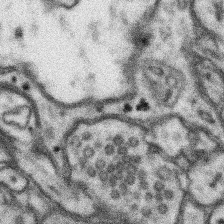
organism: Mouse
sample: Somatosensory cortex neuropil